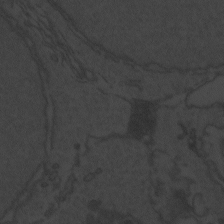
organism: Zebrafish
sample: Macrophage infected with Toxoplasma gondii